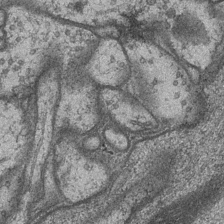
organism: Drosophila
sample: Optic medulla